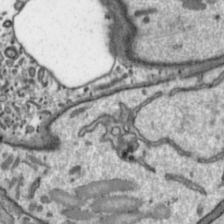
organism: Toxoplasma gondii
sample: Parasites in a vacuole inside a host cell